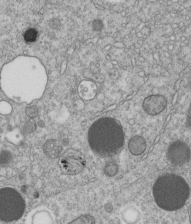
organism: C. elegans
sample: C. elegans embryo early stage